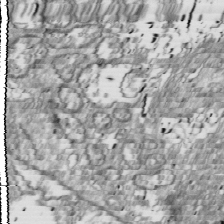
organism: Drosophila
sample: Cell division; meiosis; drosophila spermatocytes